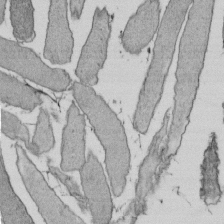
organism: E. coli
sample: Bacterial nucleoid